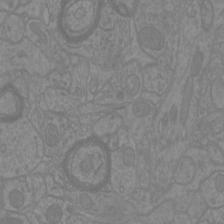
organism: Mouse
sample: Cortical neurons